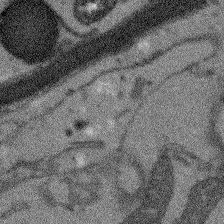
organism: Arabidopsis thaliana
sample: Root tip